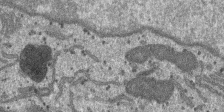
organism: Human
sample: Lung epithelial cells infected with SARS-CoV-2